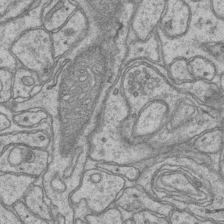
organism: Mouse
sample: CA1 Hippocampus